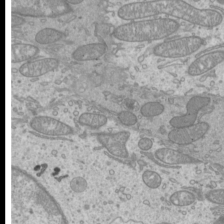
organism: Mouse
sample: Cilia; mouse epididymis